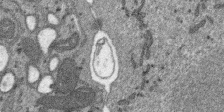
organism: Human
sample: Lung epithelial cells infected with SARS-CoV-2